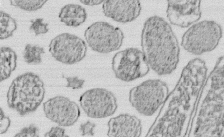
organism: E. coli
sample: Bacterial nucleoid